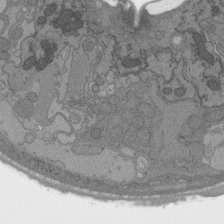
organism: C. elegans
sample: AFD neurons C. elegans